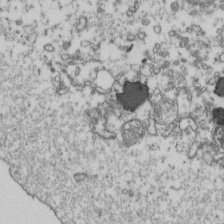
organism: Human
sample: Activated Jurkat CD4+ T cells